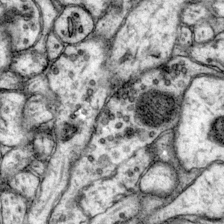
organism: Mouse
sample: Primary visual cortex